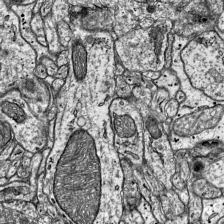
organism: Mouse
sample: Visual Cortex